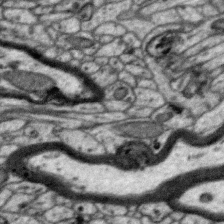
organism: Zebra finch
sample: Brain